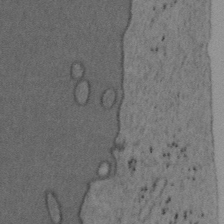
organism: Human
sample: HeLa cells